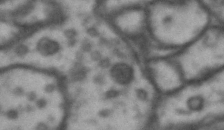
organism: Drosophila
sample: Brain